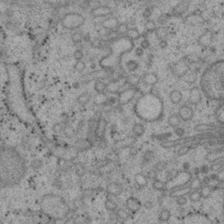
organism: Human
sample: HeLa cells